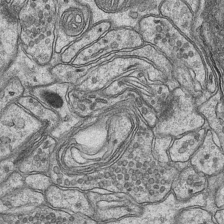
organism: Mouse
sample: CA1 Hippocampus